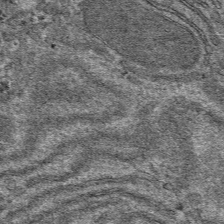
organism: Mouse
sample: Mouse hepatocytes